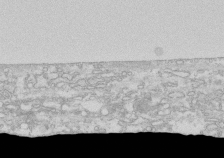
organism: Human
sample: CRL-1474